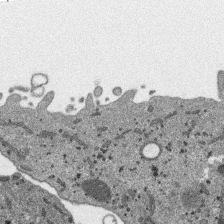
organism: Human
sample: Lung epithelial cells infected with SARS-CoV-2